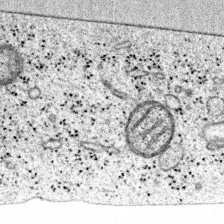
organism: Human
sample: HeLa cells